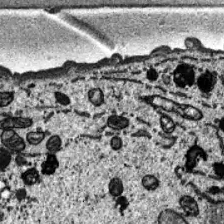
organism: Human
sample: HeLa cells